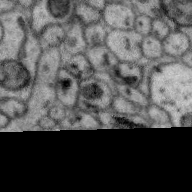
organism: Zebra finch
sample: Brain